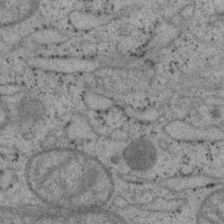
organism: Human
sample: HeLa cells